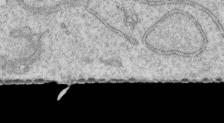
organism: Human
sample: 1205lu cells